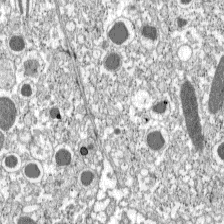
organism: C57BL Mouse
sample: Pancreatic islet